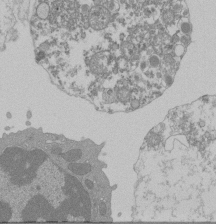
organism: Mouse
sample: Activated Pmel transgenic CD8+ T Cells